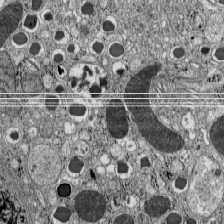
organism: C57BL Mouse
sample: Pancreatic islet